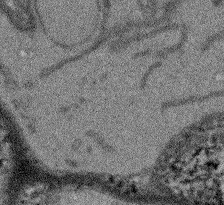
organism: Arabidopsis thaliana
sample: Root tip